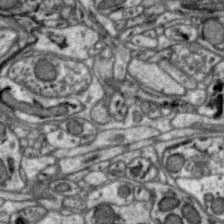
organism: Zebra finch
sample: Brain